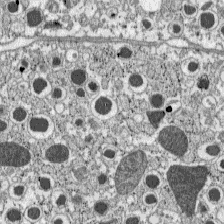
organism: C57BL Mouse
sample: Pancreatic islet